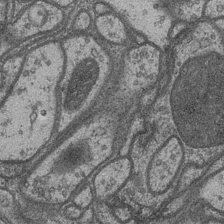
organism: Drosophila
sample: Optic medulla